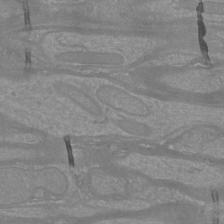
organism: Mouse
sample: Cortical neurons